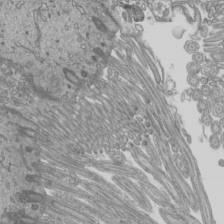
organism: Mouse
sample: Cilia; mouse epididymis